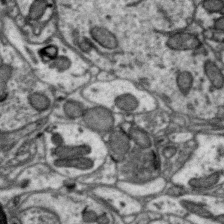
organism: Zebra finch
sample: Brain